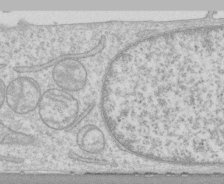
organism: Human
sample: CRL-1474